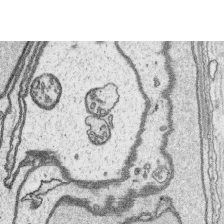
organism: Platynereis dumerilii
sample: Parapodia